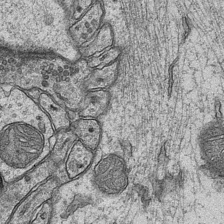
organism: Mouse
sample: CA1 Hippocampus